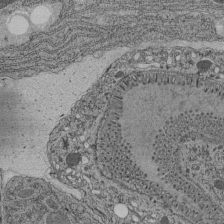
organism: C. elegans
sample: C. elegans pharynx